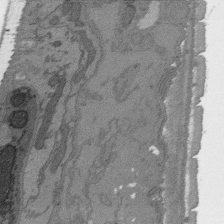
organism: C. elegans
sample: AFD neurons C. elegans